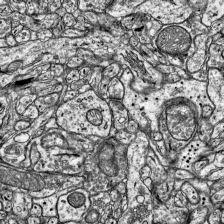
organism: Mouse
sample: Visual Cortex